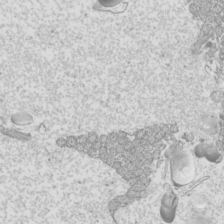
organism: Mouse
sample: Cilia; mouse epididymis